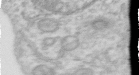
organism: Human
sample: Centriole in RPE cells